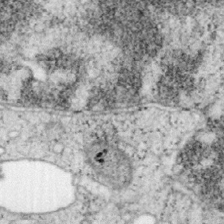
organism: Mouse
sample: OT-I killer T cells with ID8 ovarian cancer cells